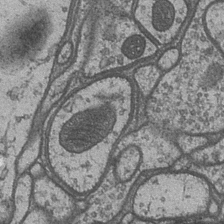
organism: Drosophila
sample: Optic medulla